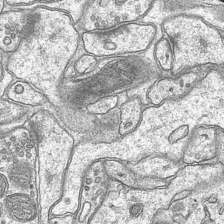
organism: Mouse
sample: CA1 Hippocampus